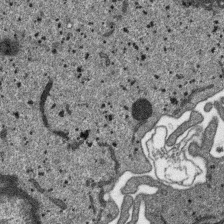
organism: Human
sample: Lung epithelial cells infected with SARS-CoV-2